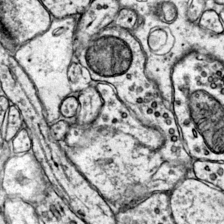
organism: Mouse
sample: Primary visual cortex